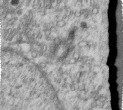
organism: Human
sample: Centriole in RPE cells